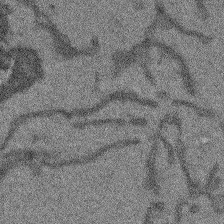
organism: Arabidopsis thaliana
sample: Root tip